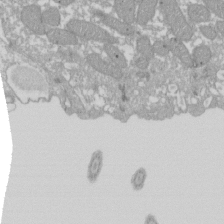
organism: Xenopus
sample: Cilia; centrioles in frog embryo cells